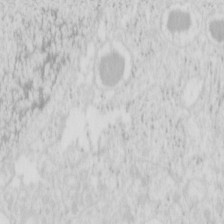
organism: Mouse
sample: Pancreas